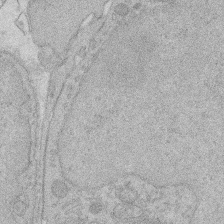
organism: Rat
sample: Salivary granule